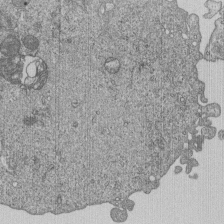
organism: Human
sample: MDA-MB-231 cells